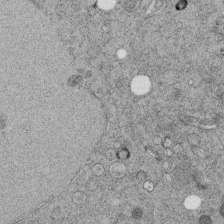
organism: C. elegans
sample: C. elegans embryo early stage